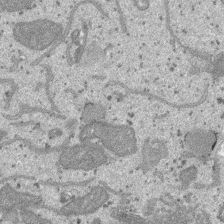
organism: Human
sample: Lung epithelial cells infected with SARS-CoV-2